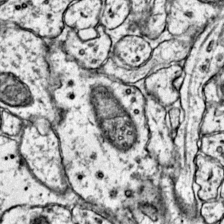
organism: Mouse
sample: Primary visual cortex